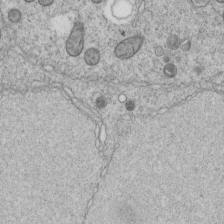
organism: C. elegans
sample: C. elegans embryo early stage